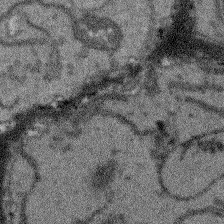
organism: Arabidopsis thaliana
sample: Root tip